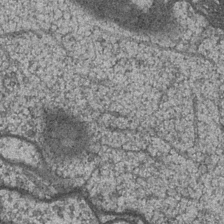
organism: Drosophila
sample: Optic medulla